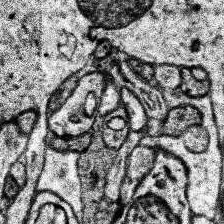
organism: Human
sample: Temporal Lobe